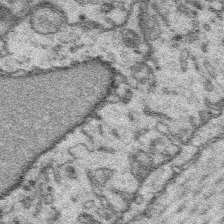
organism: Platynereis dumerilii